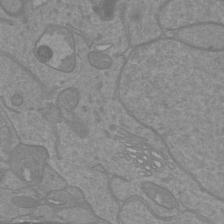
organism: Mouse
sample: Cortical neurons